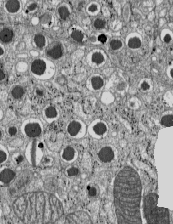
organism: C57BL Mouse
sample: Pancreatic islet